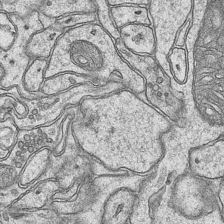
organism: Mouse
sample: CA1 Hippocampus